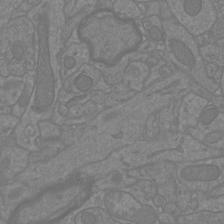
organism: Mouse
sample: Cortical neurons